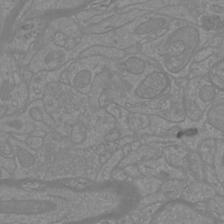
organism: Mouse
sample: Cortical neurons